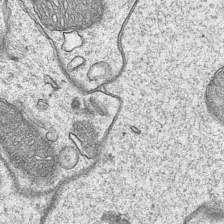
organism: Mouse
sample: CA1 Hippocampus